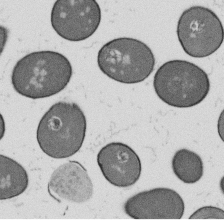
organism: B. subtilis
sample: Bacterial spore